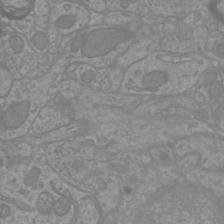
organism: Mouse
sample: Cortical neurons